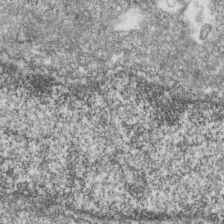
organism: Zebrafish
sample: Cilia; retinal pigment epithelium